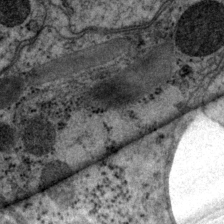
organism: P. pacificus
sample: Pharynx